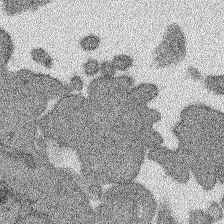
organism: Human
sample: HeLa cells